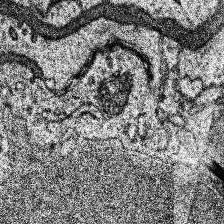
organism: Human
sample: Temporal Lobe